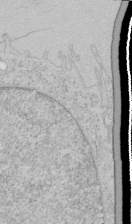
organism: Human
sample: Mitochondria in HCT116 cells